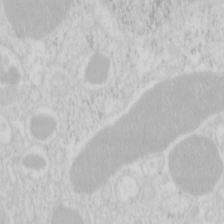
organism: Mouse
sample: Pancreas